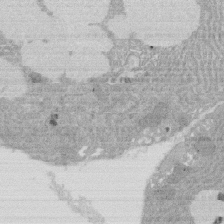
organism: Rat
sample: Salivary granule